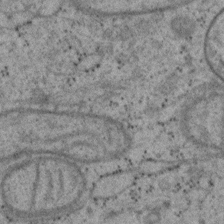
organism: Human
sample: HeLa cells